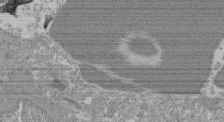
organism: Mouse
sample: Glomerulus